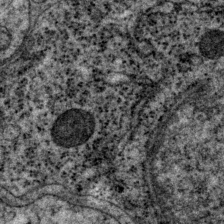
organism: P. pacificus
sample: Pharynx